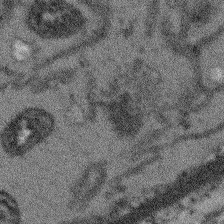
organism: Arabidopsis thaliana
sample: Root tip